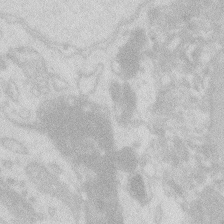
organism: Zebrafish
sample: Macrophage